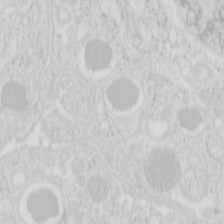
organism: Mouse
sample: Pancreas